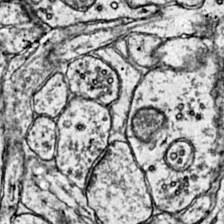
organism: Mouse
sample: Primary visual cortex